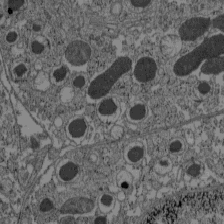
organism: C57BL Mouse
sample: Pancreatic islet